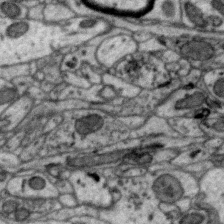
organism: Zebra finch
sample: Brain